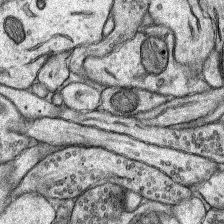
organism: Rat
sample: Hippocampus